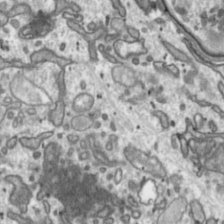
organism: Toxoplasma gondii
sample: Parasites in a vacuole inside a host cell